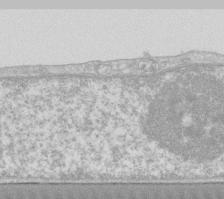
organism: Human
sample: Fibroblast cells